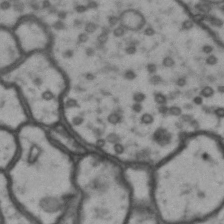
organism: Drosophila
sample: Brain